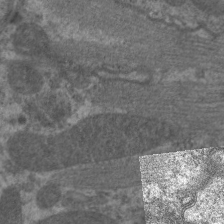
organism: C. elegans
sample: Pharynx